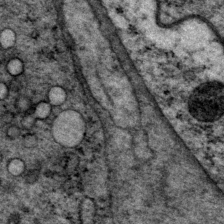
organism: P. pacificus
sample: Pharynx